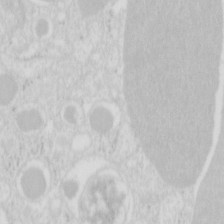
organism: Mouse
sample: Pancreas